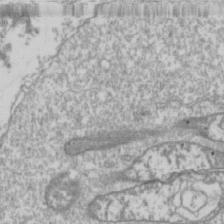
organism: Drosophila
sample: Cell division; meiosis; drosophila spermatocytes